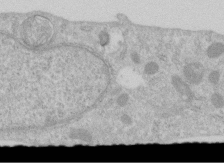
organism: Human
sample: Centriole in RPE cells